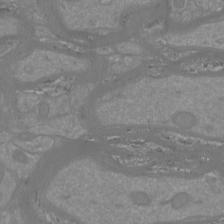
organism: Mouse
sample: Cortical neurons